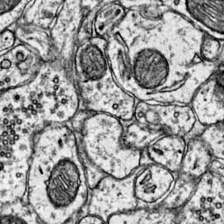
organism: Mouse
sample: Primary visual cortex